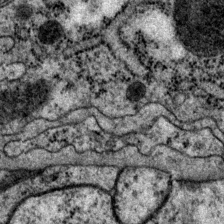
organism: P. pacificus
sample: Pharynx